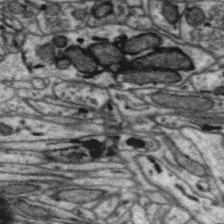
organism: Zebra finch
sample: Brain